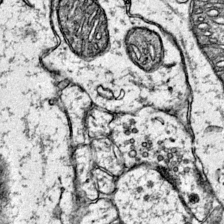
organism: Mouse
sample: Primary visual cortex